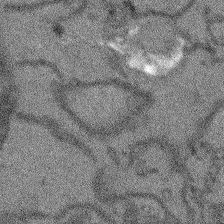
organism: Arabidopsis thaliana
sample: Root tip